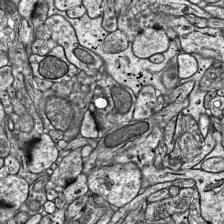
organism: Mouse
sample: Visual Cortex